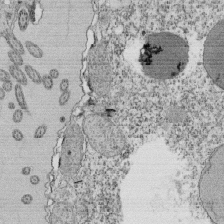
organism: Tetrahymena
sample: Cilia in tetrahymena